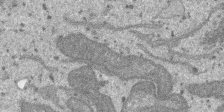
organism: Human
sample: Lung epithelial cells infected with SARS-CoV-2